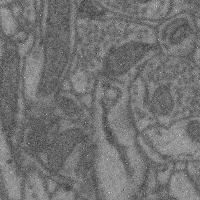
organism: Mouse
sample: Cerebral cortex